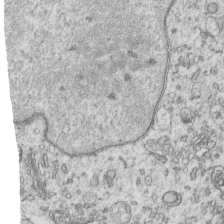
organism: Human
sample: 1205lu cells